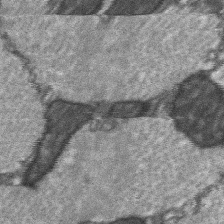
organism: C57BL Mouse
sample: Soleus